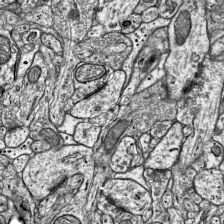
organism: Mouse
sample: Visual Cortex